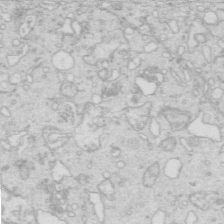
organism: Mouse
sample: Multiciliated cells